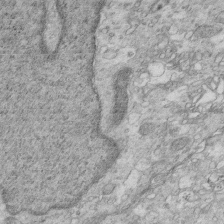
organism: Mouse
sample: Multiciliated cells